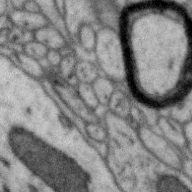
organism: Zebra finch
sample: Brain